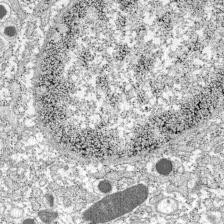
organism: C57BL Mouse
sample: Pancreatic islet